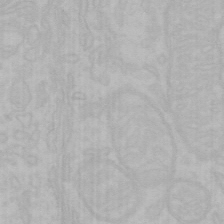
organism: Mouse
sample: Choroid plexus